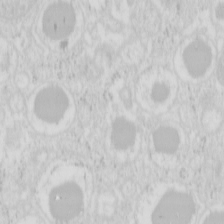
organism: Mouse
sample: Pancreas